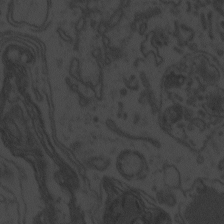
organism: Zebrafish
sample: Macrophage infected with Toxoplasma gondii